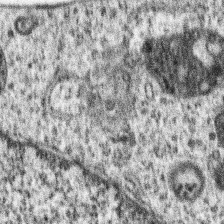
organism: Human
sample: HeLa cells